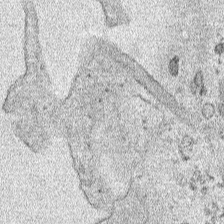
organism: Human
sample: Mitochondria in HCT116 cells